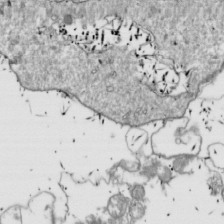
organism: Drosophila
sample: Cell division; meiosis; drosophila spermatocytes